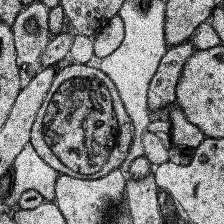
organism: Human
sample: Temporal Lobe